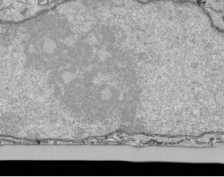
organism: Human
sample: Mitochondria in HCT116 cells